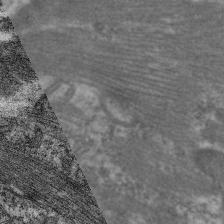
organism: C. elegans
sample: Pharynx